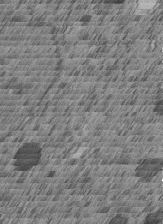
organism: C. elegans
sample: C. elegans embryo early stage